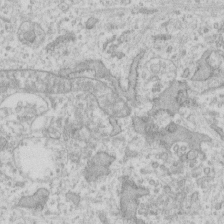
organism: Human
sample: Fibroblast cells